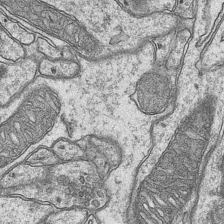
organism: Mouse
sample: CA1 Hippocampus